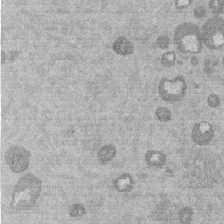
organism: Mouse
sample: Dividing mouse embryo 1 cell stage